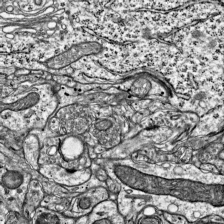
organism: Mouse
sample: Visual Cortex